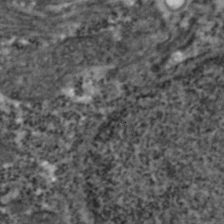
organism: Zebrafish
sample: Zebrafish embryo